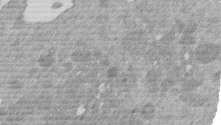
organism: Mouse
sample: Dividing mouse embryo 1 cell stage